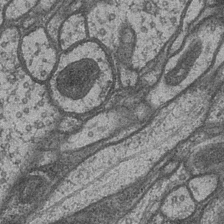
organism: Drosophila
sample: Optic medulla